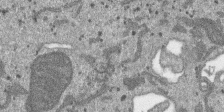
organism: Human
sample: Lung epithelial cells infected with SARS-CoV-2